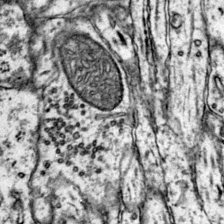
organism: Mouse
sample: Primary visual cortex